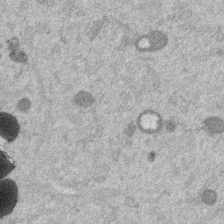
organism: Mouse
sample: Dividing mouse embryo 1 cell stage